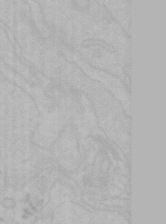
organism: Mouse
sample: Choroid plexus